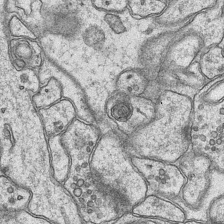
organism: Mouse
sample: CA1 Hippocampus